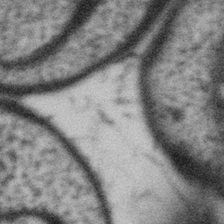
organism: Gemmata obscuriglobus